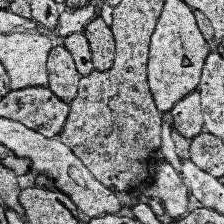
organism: Human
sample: Temporal Lobe